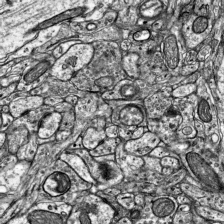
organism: Mouse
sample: Visual Cortex